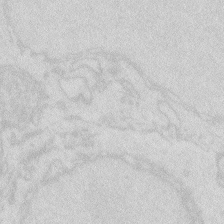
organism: Zebrafish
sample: Macrophage